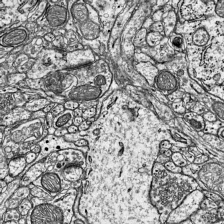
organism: Mouse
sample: Visual Cortex